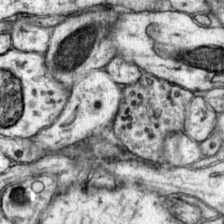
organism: Mouse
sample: Primary visual cortex